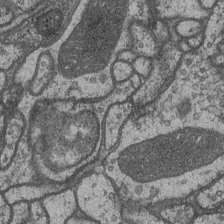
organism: Drosophila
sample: Optic medulla